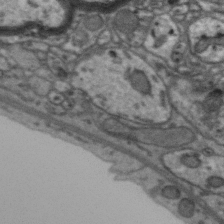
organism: Zebra finch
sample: Brain